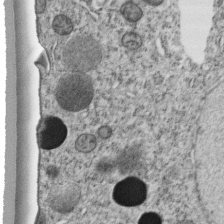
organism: C. elegans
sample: C. elegans embryo early stage